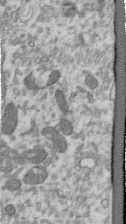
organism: Human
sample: Centriole in RPE cells